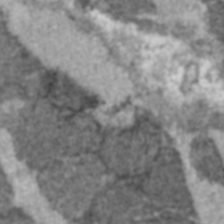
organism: C57BL Mouse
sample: Heart